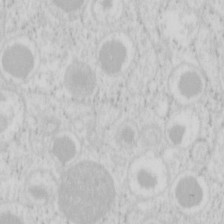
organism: Mouse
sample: Pancreas